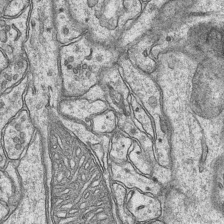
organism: Mouse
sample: CA1 Hippocampus